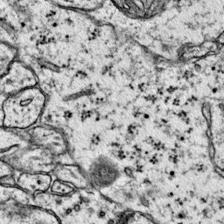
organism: Mouse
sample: Primary visual cortex